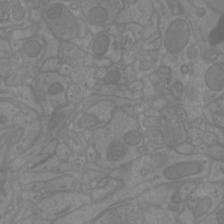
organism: Mouse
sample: Cortical neurons